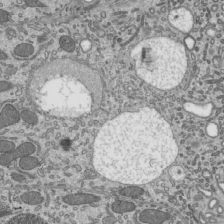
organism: Mouse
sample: Mouse epididymis efferent ductule cilia